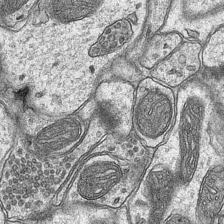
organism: Mouse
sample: CA1 Hippocampus